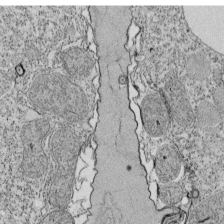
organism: Tetrahymena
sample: Cilia in tetrahymena